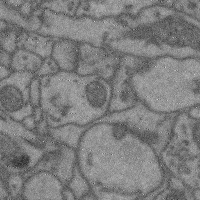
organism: Mouse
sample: Cerebral cortex